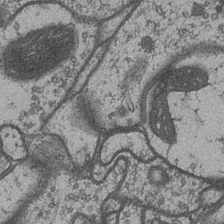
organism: Drosophila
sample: Optic medulla